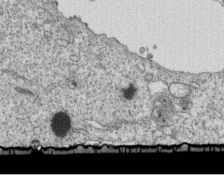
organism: Human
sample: HeLa cell HIV synapse